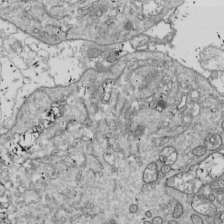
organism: Drosophila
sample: Cell division; meiosis; drosophila spermatocytes